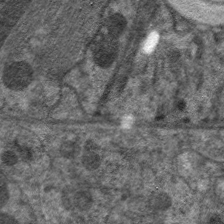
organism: C. elegans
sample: Pharynx